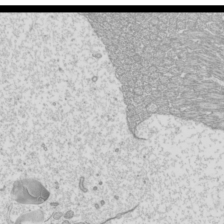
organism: Mouse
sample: Cilia; mouse epididymis